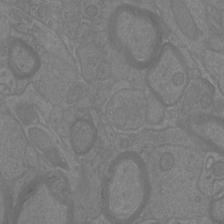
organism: Mouse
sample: Cortical neurons